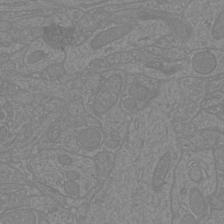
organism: Mouse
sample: Cortical neurons